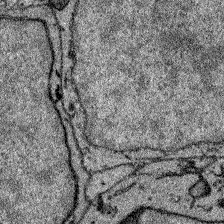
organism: Zebrafish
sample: Larval olfactory bulb